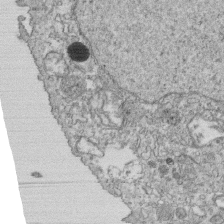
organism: Human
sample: HeLa cell HIV synapse